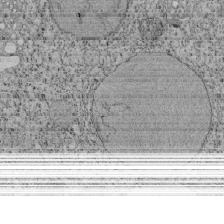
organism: Tetrahymena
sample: Cilia in tetrahymena